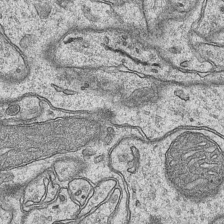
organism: Mouse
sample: CA1 Hippocampus